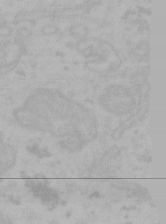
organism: Mouse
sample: Choroid plexus